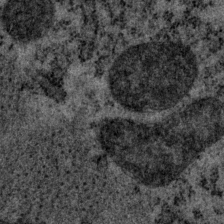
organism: P. pacificus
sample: Pharynx